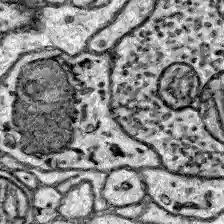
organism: Zebrafish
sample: Brain